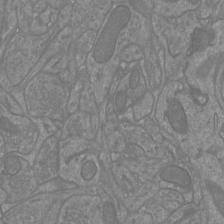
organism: Mouse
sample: Cortical neurons